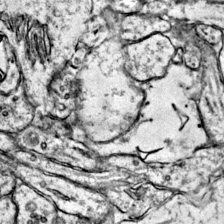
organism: Mouse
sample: Primary visual cortex